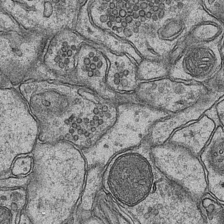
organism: Mouse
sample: CA1 Hippocampus